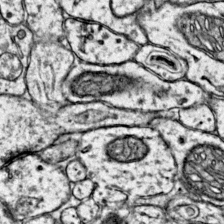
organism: Mouse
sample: Primary visual cortex